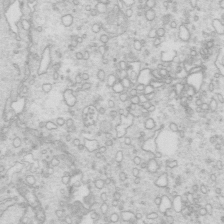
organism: Mouse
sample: Multiciliated cells